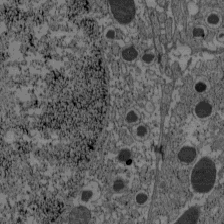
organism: C57BL Mouse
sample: Pancreatic islet